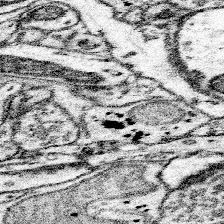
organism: Mouse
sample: Somatosensory cortex neuropil